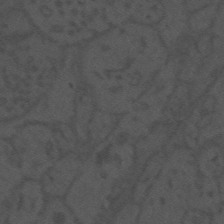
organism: Mouse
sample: Suprachiasmatic nucleus